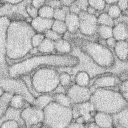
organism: Rabbit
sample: Retina